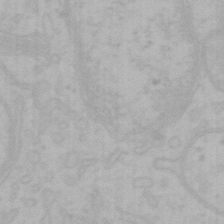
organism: Mouse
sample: Choroid plexus